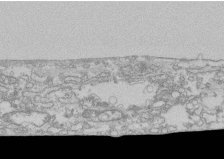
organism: Human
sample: CRL-1474